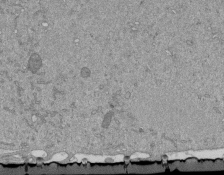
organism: Mouse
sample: ED-1 cell nuclei; centrioles